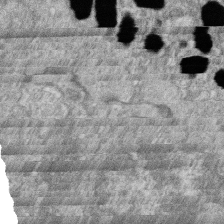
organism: Zebrafish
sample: Cilia; retinal pigment epithelium